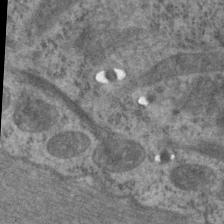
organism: C. elegans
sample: Pharynx